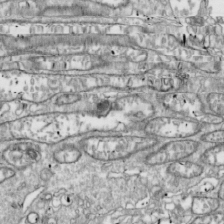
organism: Drosophila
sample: Cell division; meiosis; drosophila spermatocytes